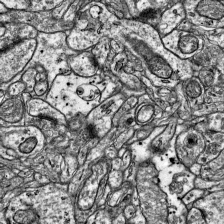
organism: Mouse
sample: Visual Cortex